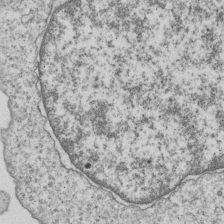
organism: Human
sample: MDA-MB-231 cells